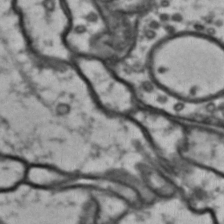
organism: Drosophila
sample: Brain